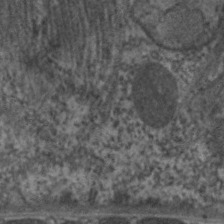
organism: C. elegans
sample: Pharynx